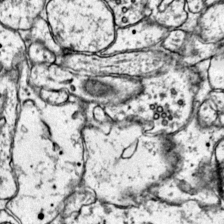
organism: Mouse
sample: Primary visual cortex